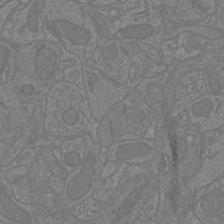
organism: Mouse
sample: Cortical neurons